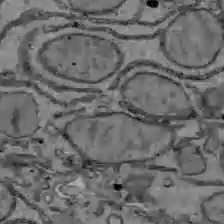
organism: C57BL Mouse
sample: Liver